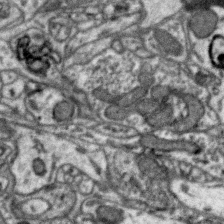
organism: Zebra finch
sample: Brain